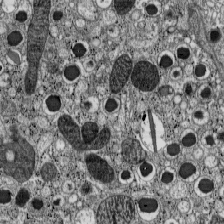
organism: C57BL Mouse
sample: Pancreatic islet